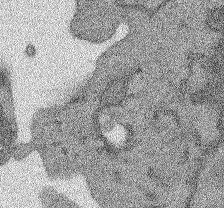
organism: Human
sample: HeLa cells